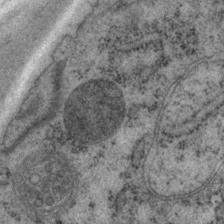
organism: P. pacificus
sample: Pharynx